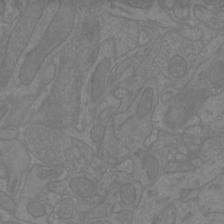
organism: Mouse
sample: Cortical neurons